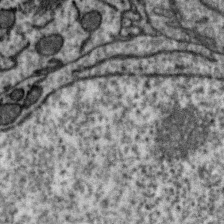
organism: Zebra finch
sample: Brain